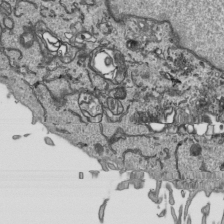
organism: Human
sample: Mitochondria in HCT116 cells